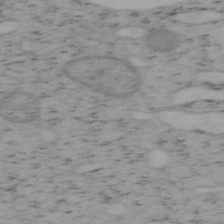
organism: Mouse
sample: OT-I killer T cells with ID8 ovarian cancer cells